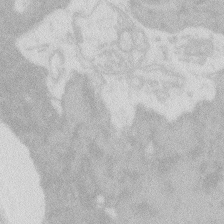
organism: Zebrafish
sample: Macrophage